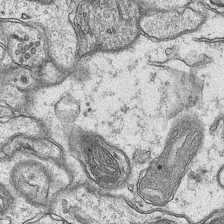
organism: Mouse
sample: CA1 Hippocampus